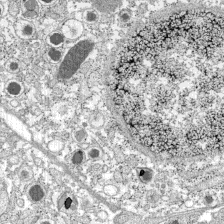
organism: C57BL Mouse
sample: Pancreatic islet